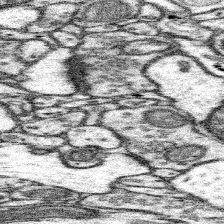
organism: Mouse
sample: Somatosensory cortex neuropil